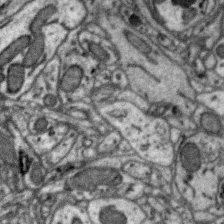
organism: Zebra finch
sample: Brain